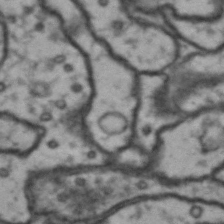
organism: Drosophila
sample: Brain